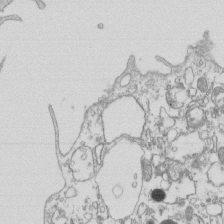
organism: Mouse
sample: Macrophages